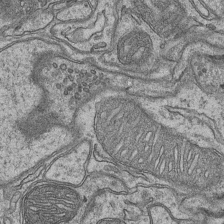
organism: Mouse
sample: CA1 Hippocampus